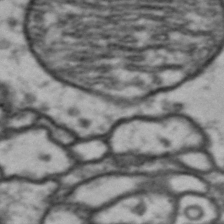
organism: Drosophila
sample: Brain